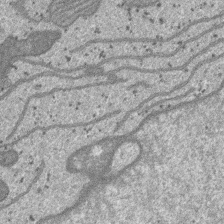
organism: Human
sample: Lung epithelial cells infected with SARS-CoV-2